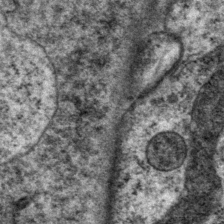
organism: P. pacificus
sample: Pharynx